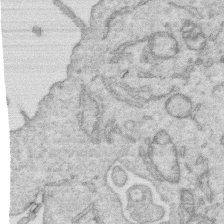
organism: Human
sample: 1205lu cells